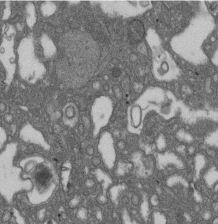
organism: Drosophila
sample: Nephrocyte